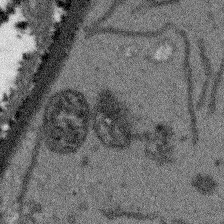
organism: Arabidopsis thaliana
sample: Root tip